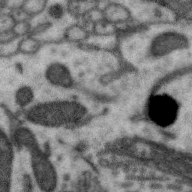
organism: Zebra finch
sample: Brain